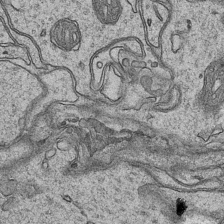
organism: Mouse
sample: CA1 Hippocampus